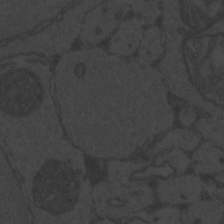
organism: Zebrafish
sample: Macrophage infected with Toxoplasma gondii